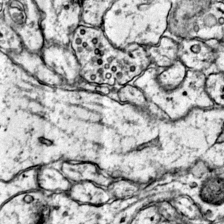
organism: Mouse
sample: Primary visual cortex